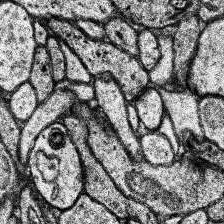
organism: Human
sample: Temporal Lobe